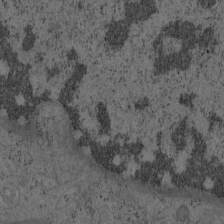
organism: Mouse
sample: OT-I killer T cells with ID8 ovarian cancer cells